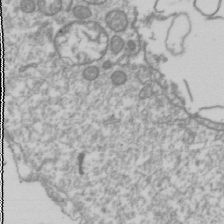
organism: Drosophila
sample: Cell division; meiosis; drosophila spermatocytes